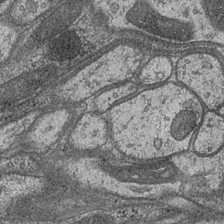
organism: Drosophila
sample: Optic medulla